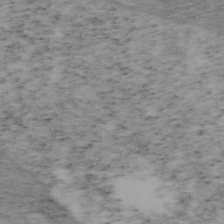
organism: Mouse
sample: OT-I killer T cells with ID8 ovarian cancer cells